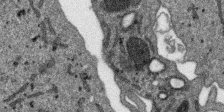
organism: Human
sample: Lung epithelial cells infected with SARS-CoV-2